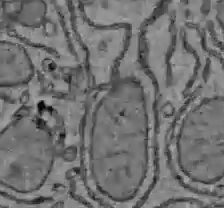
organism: C57BL Mouse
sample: Liver